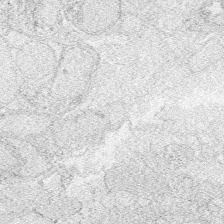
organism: Zebrafish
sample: Whole-Brain